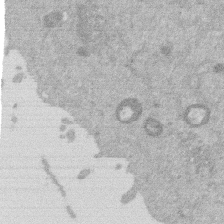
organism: Mouse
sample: Dividing mouse embryo 1 cell stage